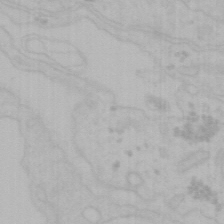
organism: Mouse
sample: Choroid plexus